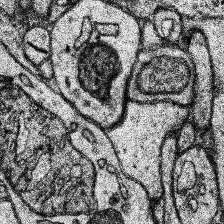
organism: Human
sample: Temporal Lobe